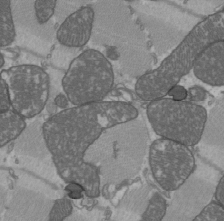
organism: C57BL Mouse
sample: Heart